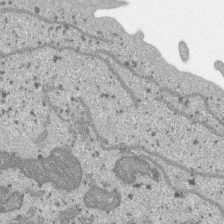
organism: Human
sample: Lung epithelial cells infected with SARS-CoV-2